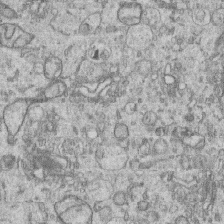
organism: Human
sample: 1205lu cells